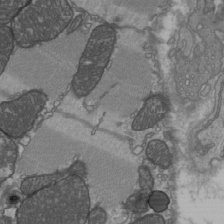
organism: C57BL Mouse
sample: Heart